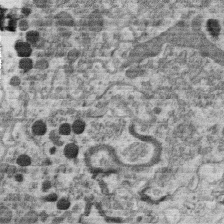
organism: C. elegans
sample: C. elegans oocyte; sperm cells